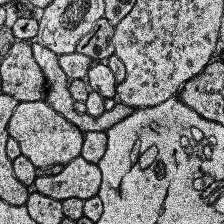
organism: Human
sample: Temporal Lobe